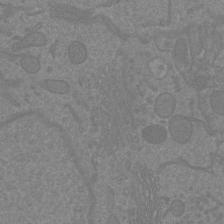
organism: Mouse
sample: Cortical neurons